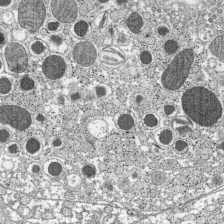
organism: C57BL Mouse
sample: Pancreatic islet